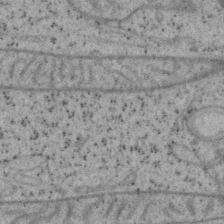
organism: Human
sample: HeLa cells